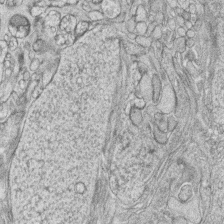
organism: Zebrafish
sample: synaptic ribbons in rod cells and cone cells